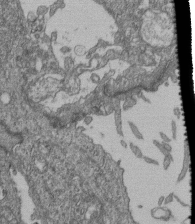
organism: Human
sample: Retinal organoid Rod and Cone cells